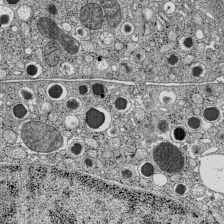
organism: C57BL Mouse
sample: Pancreatic islet